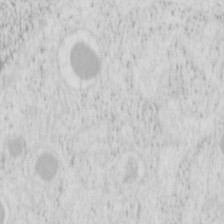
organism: Mouse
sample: Pancreas